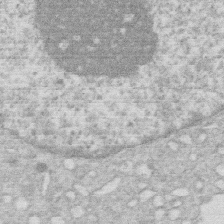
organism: Human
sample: Macrophage cells